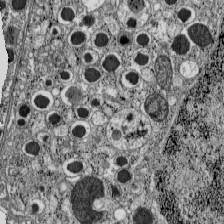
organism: C57BL Mouse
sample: Pancreatic islet